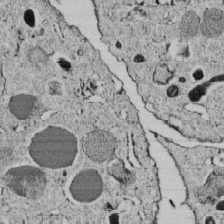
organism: C. elegans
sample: C. elegans embryo early stage